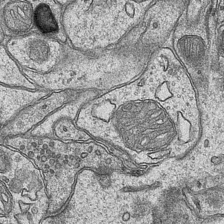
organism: Mouse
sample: CA1 Hippocampus